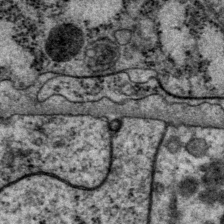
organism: P. pacificus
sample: Pharynx